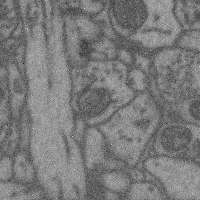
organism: Mouse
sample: Cerebral cortex